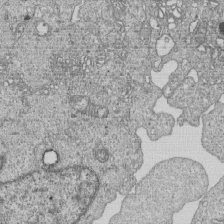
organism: Human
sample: MDA-MB-231 cells